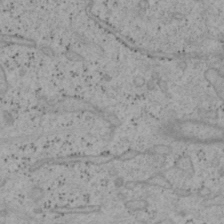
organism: Human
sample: HeLa cells